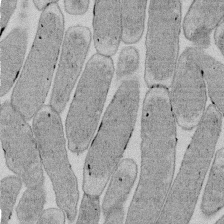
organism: E. coli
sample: Bacterial nucleoid